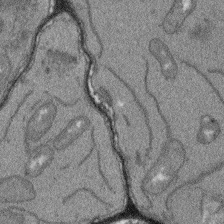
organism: Arabidopsis thaliana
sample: Root tip